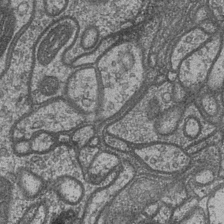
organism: Drosophila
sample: Optic medulla